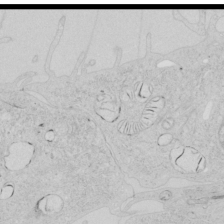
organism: Human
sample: Mitochondria in HCT116 cells